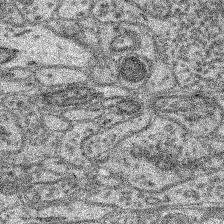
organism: Mouse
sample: Retina